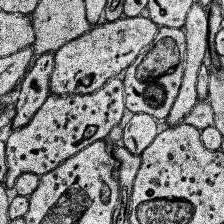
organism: Human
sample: Temporal Lobe